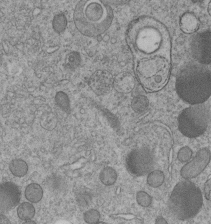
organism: C. elegans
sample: C. elegans embryo early stage